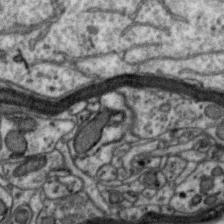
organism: Zebra finch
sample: Brain